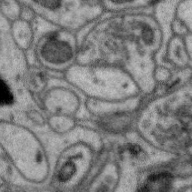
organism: Zebra finch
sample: Brain